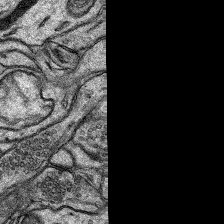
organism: Rat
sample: Hippocampus